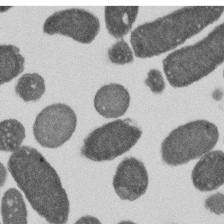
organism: E. coli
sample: Bacterial nucleoid